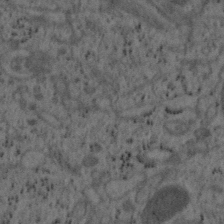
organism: Human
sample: HeLa cells